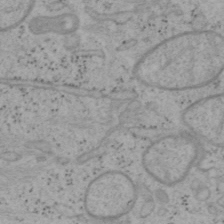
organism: Human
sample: HeLa cells